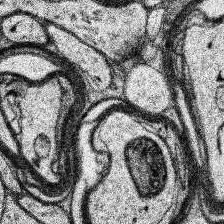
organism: Human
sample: Temporal Lobe